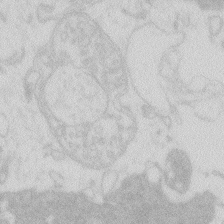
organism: Zebrafish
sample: Macrophage